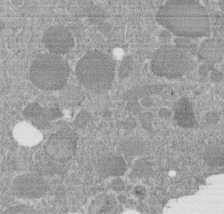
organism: C. elegans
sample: C. elegans embryo early stage